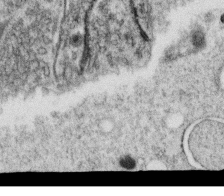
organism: C. elegans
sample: C. elegans oocyte; sperm cells